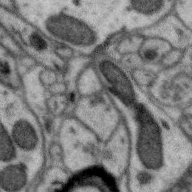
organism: Zebra finch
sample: Brain